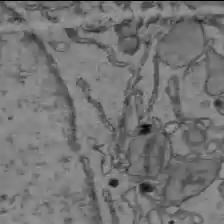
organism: C57BL Mouse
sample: Liver